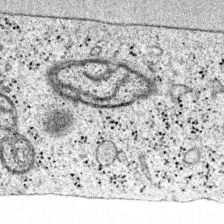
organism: Human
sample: HeLa cells